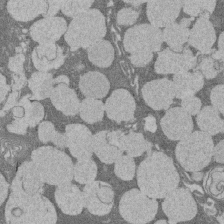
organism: Rat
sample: Salivary granule